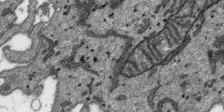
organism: Human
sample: Lung epithelial cells, uninfected (mock) control